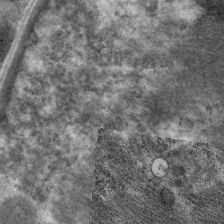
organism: C. elegans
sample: Pharynx